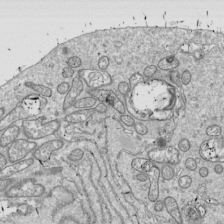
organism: Drosophila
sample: Cell division; meiosis; drosophila spermatocytes